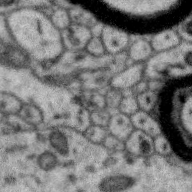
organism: Zebra finch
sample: Brain